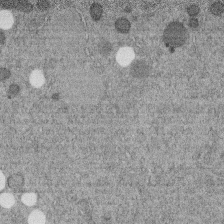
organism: C. elegans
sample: C. elegans embryo early stage